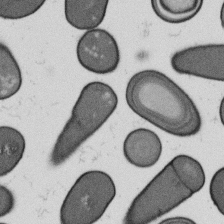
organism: B. subtilis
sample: Bacterial spore